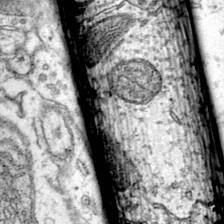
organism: Mouse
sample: Primary visual cortex